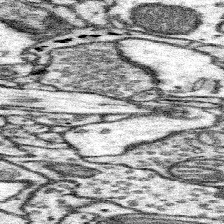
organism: Mouse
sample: Somatosensory cortex neuropil